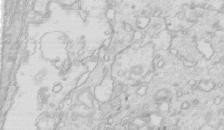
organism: Mouse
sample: Multiciliated cells